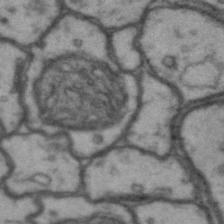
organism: Drosophila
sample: Brain